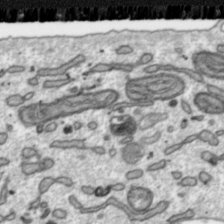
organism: Toxoplasma gondii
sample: Parasites in a vacuole inside a host cell